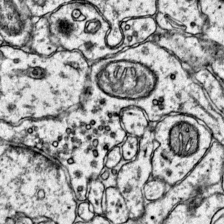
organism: Mouse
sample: Primary visual cortex